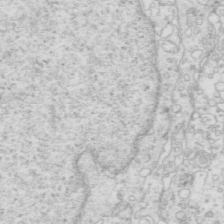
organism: Mouse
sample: Multiciliated cells